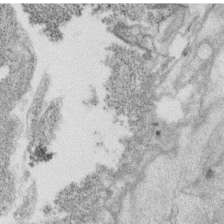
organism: C. elegans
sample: C. elegans oocyte; sperm cells